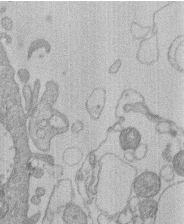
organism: Human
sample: Macrophage cells